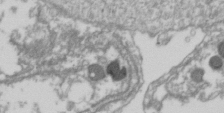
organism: Drosophila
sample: Cell division; meiosis; drosophila spermatocytes